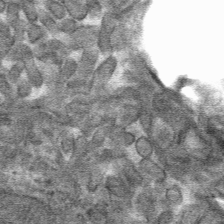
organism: Mouse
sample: Mouse hepatocytes